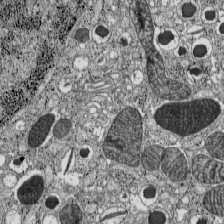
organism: C57BL Mouse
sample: Pancreatic islet